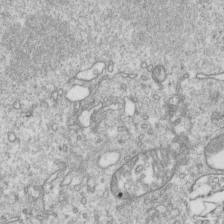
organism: Mouse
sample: Activated OT-1 CD8+ T cells